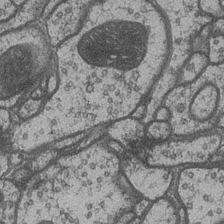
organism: Drosophila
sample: Optic medulla